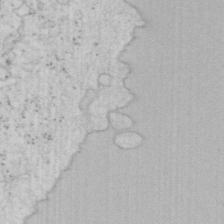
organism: Human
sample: HeLa cells